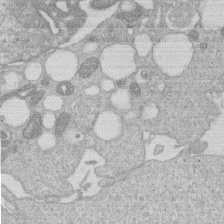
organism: Human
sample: Macrophage cells